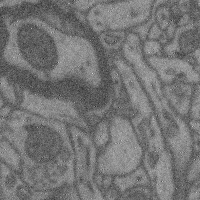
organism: Mouse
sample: Cerebral cortex